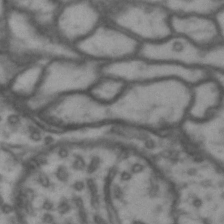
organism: Drosophila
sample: Brain